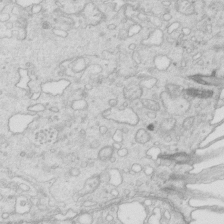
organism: Mouse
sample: Multiciliated cells